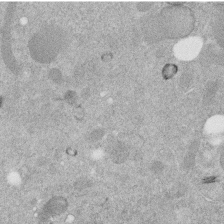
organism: C. elegans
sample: C. elegans embryo early stage